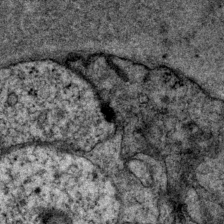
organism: P. pacificus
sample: Pharynx